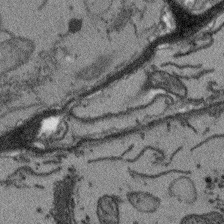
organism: Arabidopsis thaliana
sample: Root tip